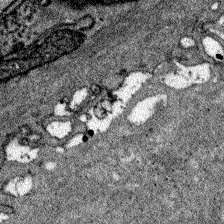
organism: Zebrafish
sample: Larval olfactory bulb